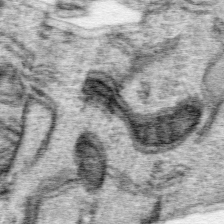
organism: Human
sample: HeLa cells